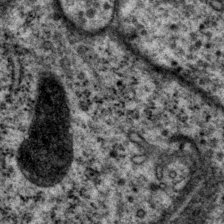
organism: P. pacificus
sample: Pharynx